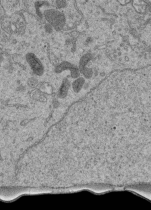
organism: Human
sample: Retinal organoid Rod and Cone cells